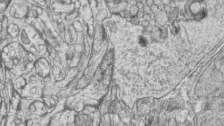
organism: Zebrafish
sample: synaptic ribbons in rod cells and cone cells